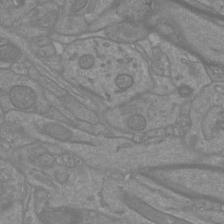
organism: Mouse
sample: Cortical neurons